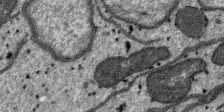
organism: Human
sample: Lung epithelial cells, uninfected (mock) control